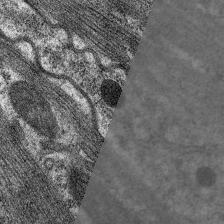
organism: C. elegans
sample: Pharynx